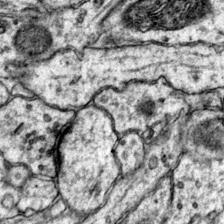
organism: Mouse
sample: Primary visual cortex